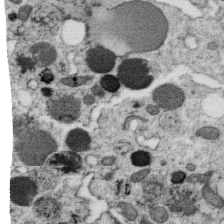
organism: C. elegans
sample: C. elegans oocyte; sperm cells